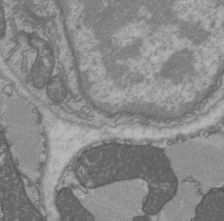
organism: C57BL Mouse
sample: Heart